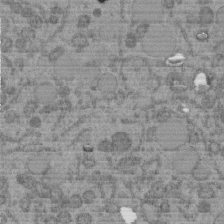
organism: C. elegans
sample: C. elegans embryo early stage